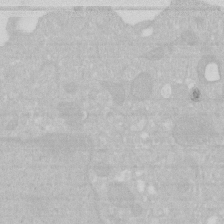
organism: Human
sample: HIV infected U937 cells